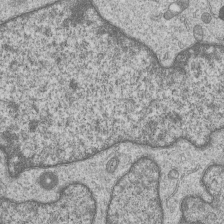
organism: Human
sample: MDA-MB-231 cells